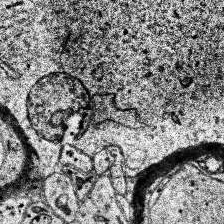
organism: Human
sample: Temporal Lobe